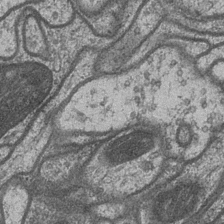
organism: Drosophila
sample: Optic medulla